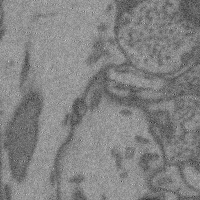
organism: Mouse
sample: Cerebral cortex